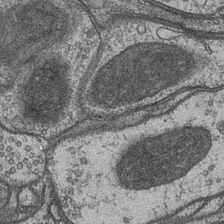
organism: Drosophila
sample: Optic medulla